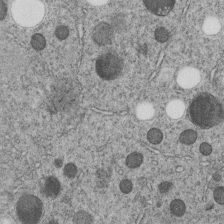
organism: C. elegans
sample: C. elegans embryo early stage